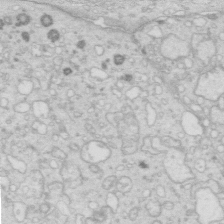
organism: Mouse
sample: Multiciliated cells